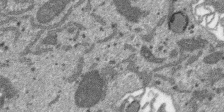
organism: Human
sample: Lung epithelial cells infected with SARS-CoV-2